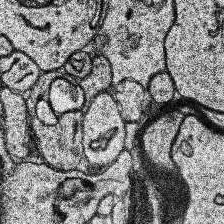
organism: Human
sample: Temporal Lobe